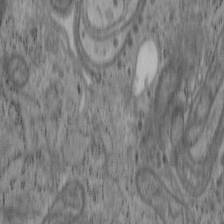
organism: Human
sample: HeLa cells